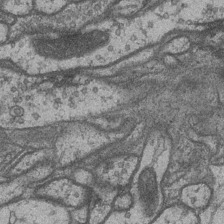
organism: Drosophila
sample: Optic medulla